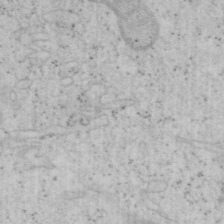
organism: Human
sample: HeLa cells